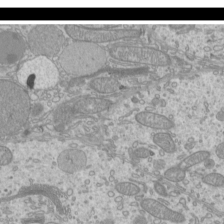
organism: Mouse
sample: Cilia; mouse epididymis